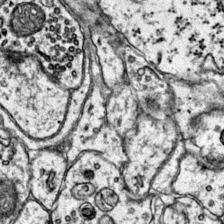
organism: Mouse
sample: Primary visual cortex